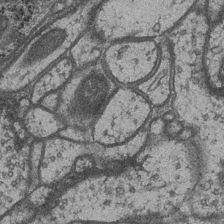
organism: Drosophila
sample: Optic medulla